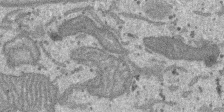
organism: Human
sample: Lung epithelial cells infected with SARS-CoV-2